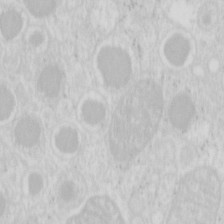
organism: Mouse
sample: Pancreas